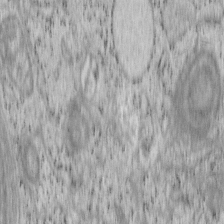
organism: Human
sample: HeLa cells